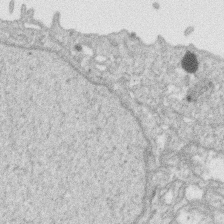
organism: Human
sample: HeLa cell HIV synapse